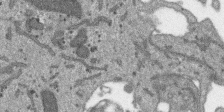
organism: Human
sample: Lung epithelial cells infected with SARS-CoV-2